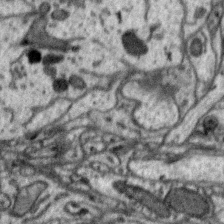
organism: Zebra finch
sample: Brain